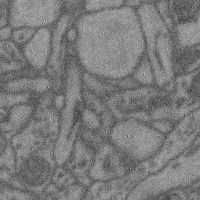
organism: Mouse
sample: Cerebral cortex